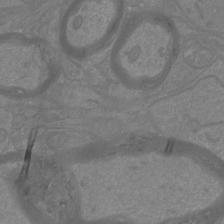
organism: Mouse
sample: Cortical neurons